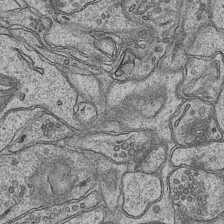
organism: Mouse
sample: CA1 Hippocampus